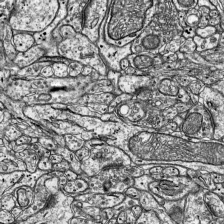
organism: Mouse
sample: Visual Cortex